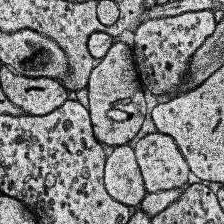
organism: Human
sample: Temporal Lobe